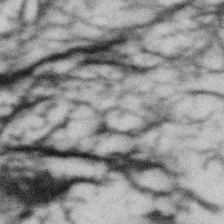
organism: Gemmata obscuriglobus